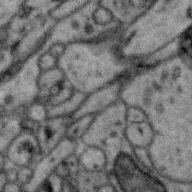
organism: Zebra finch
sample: Brain